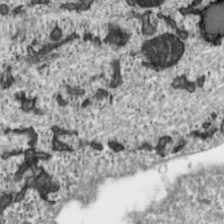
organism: Toxoplasma gondii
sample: Parasites in a vacuole inside a host cell